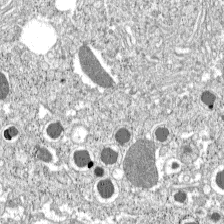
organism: C57BL Mouse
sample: Pancreatic islet